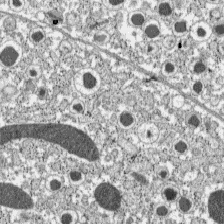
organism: C57BL Mouse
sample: Pancreatic islet